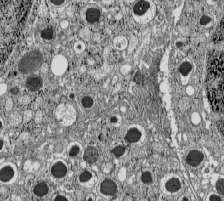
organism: C57BL Mouse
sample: Pancreatic islet